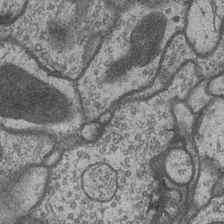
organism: Drosophila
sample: Optic medulla